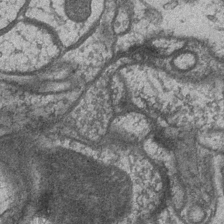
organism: Drosophila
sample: Optic medulla